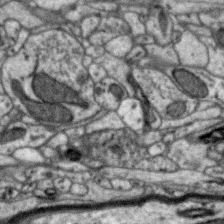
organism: Zebra finch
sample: Brain